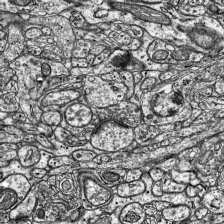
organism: Mouse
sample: Visual Cortex